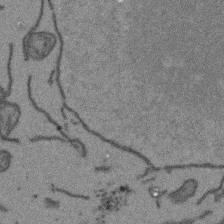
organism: Arabidopsis thaliana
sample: Root tip